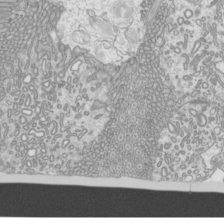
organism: Mouse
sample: Cilia; mouse epididymis